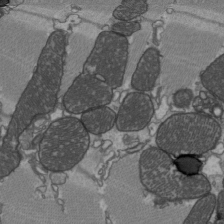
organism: C57BL Mouse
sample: Heart